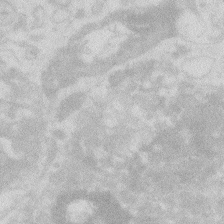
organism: Zebrafish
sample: Macrophage